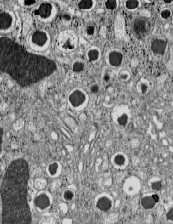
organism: C57BL Mouse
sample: Pancreatic islet